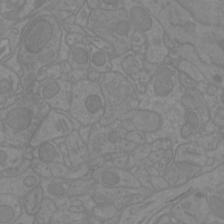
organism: Mouse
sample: Cortical neurons